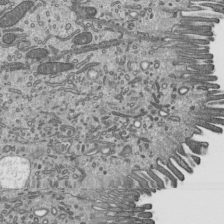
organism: Mouse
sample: Mouse epididymis efferent ductule cilia